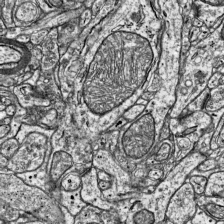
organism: Mouse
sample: Visual Cortex